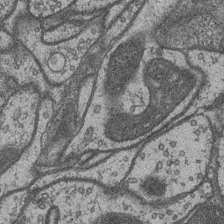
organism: Drosophila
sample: Optic medulla